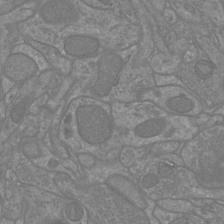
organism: Mouse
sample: Cortical neurons